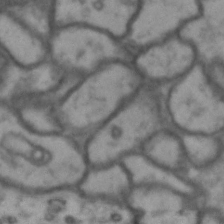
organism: Drosophila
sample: Brain